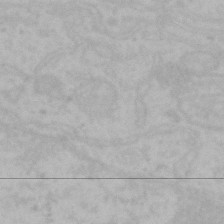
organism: Mouse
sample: Choroid plexus